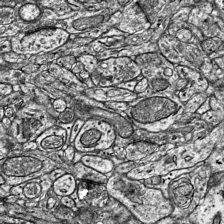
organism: Mouse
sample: Visual Cortex